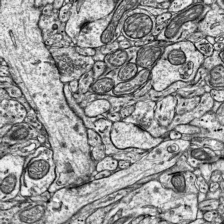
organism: Mouse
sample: Visual Cortex